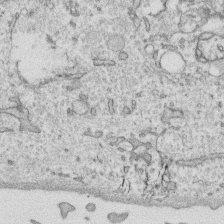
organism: Human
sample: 1205lu cells